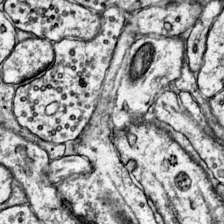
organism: Mouse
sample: Primary visual cortex